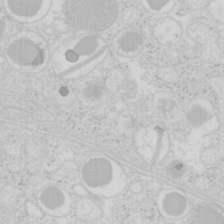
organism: Mouse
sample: Pancreas